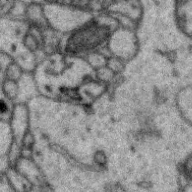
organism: Zebra finch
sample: Brain